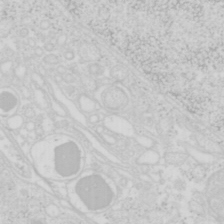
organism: Mouse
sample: Pancreas